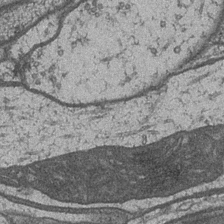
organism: Drosophila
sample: Optic medulla